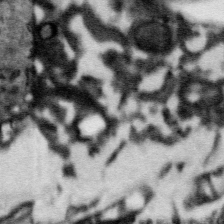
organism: Human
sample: HeLa cells